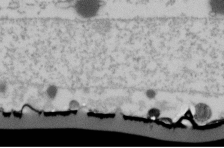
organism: Human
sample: U2-OS cells